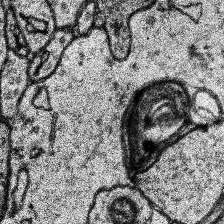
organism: Human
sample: Temporal Lobe